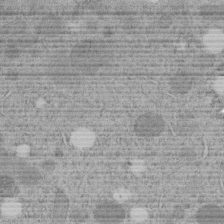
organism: C. elegans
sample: C. elegans embryo early stage